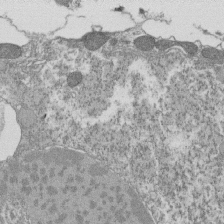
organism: Tetrahymena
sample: Cilia in tetrahymena